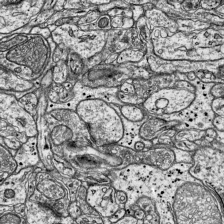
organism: Mouse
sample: Visual Cortex